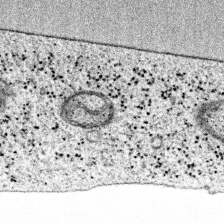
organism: Human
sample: HeLa cells